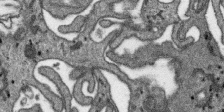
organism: Human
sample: Lung epithelial cells, uninfected (mock) control